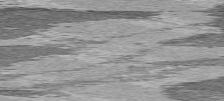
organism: C57BL Mouse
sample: Heart